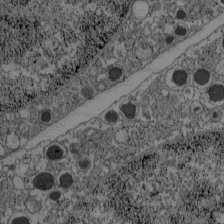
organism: C57BL Mouse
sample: Pancreatic islet